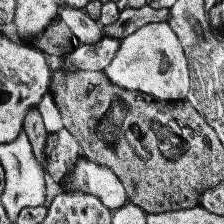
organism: Human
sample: Temporal Lobe